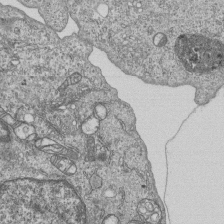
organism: Human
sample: MDA-MB-231 cells